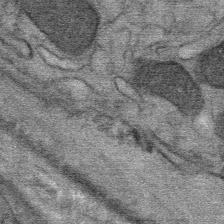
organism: Mouse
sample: Mouse Salivary gland